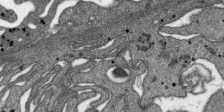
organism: Human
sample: Lung epithelial cells, uninfected (mock) control